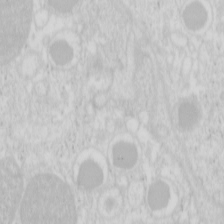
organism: Mouse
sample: Pancreas